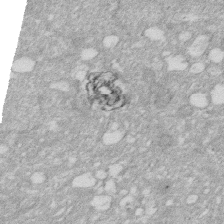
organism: Human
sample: HIV infected U937 cells